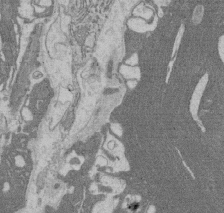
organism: Rat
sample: Salivary granule